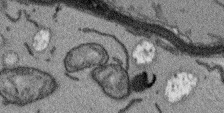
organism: Arabidopsis thaliana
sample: Root tip